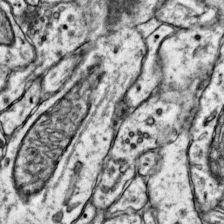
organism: Mouse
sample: Primary visual cortex